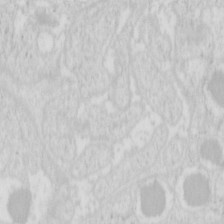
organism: Mouse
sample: Pancreas